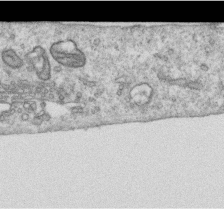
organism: Human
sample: Centriole in RPE cells